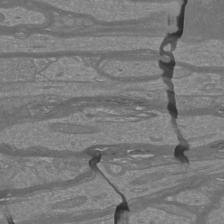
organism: Mouse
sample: Cortical neurons